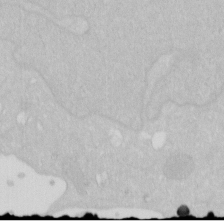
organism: Human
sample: HIV infected U937 cells